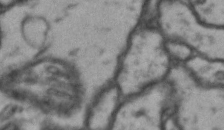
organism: Drosophila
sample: Brain